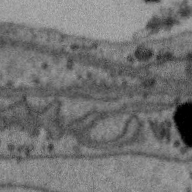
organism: Zebra finch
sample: Brain